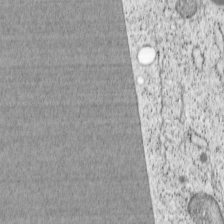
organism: African green monkey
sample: COS-7 cells